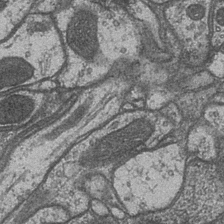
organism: Drosophila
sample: Optic medulla